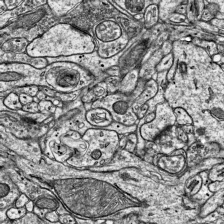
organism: Mouse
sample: Visual Cortex